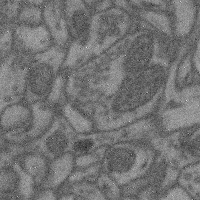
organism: Mouse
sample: Cerebral cortex